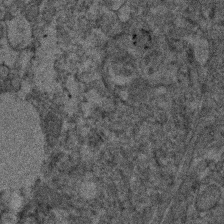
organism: Human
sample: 1205lu cells